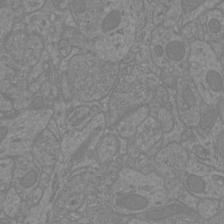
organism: Mouse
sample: Cortical neurons